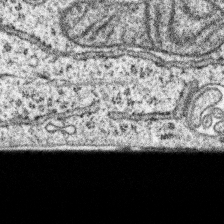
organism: Human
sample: HeLa cells